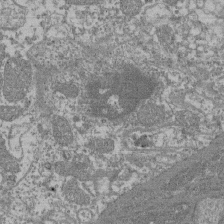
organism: Mouse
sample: Glomerulus